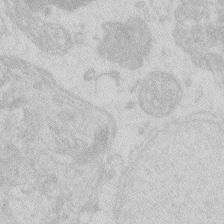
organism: Zebrafish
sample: Macrophage